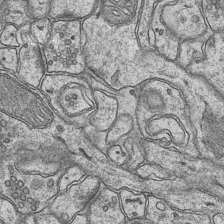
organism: Mouse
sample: CA1 Hippocampus